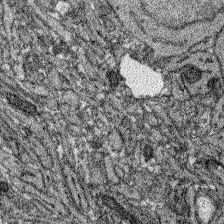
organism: Zebrafish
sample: Larval olfactory bulb